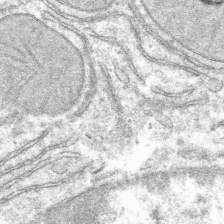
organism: Mouse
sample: Mouse hepatocytes